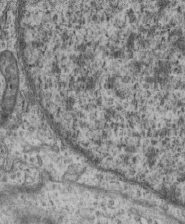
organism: Mouse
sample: Centriole in ependymal cells